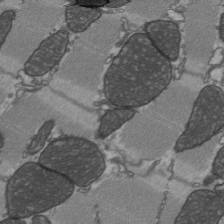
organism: C57BL Mouse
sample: Heart